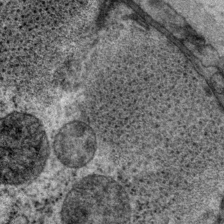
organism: P. pacificus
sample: Pharynx